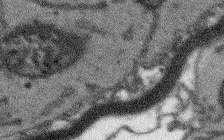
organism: Arabidopsis thaliana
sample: Root tip